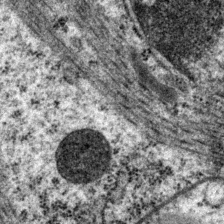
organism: P. pacificus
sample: Pharynx